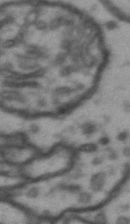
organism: Drosophila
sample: Brain